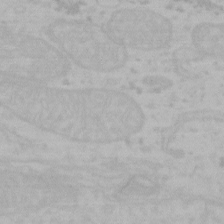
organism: Mouse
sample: Choroid plexus